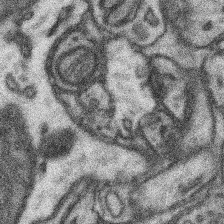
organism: Mouse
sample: Somatosensory cortex neuropil